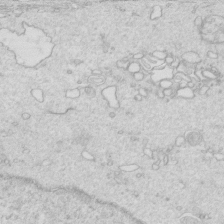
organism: Mouse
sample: Multiciliated cells